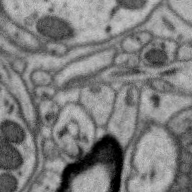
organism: Zebra finch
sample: Brain